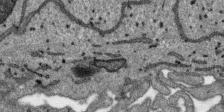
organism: Human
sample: Lung epithelial cells, uninfected (mock) control